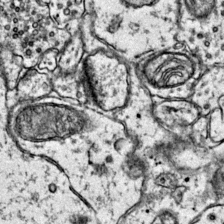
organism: Mouse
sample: Primary visual cortex